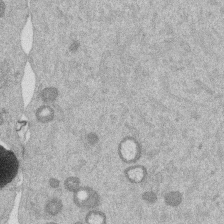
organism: Mouse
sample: Dividing mouse embryo 1 cell stage